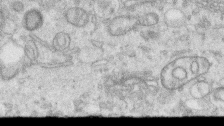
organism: Human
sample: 1205lu cells